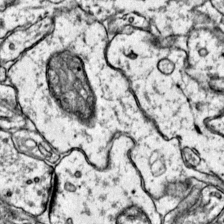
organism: Mouse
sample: Primary visual cortex